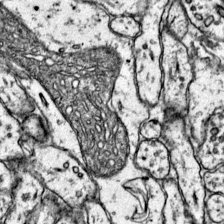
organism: Mouse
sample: Primary visual cortex